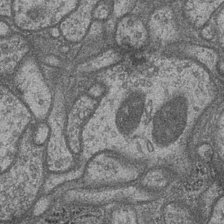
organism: Drosophila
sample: Optic medulla